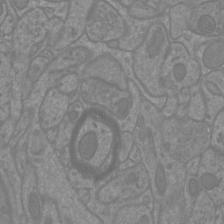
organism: Mouse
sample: Cortical neurons